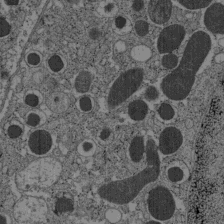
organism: C57BL Mouse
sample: Pancreatic islet